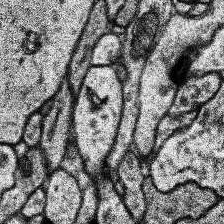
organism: Human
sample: Temporal Lobe